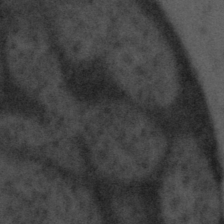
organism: Tuwongella immobilis